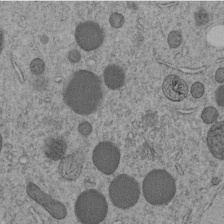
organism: C. elegans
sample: C. elegans embryo early stage